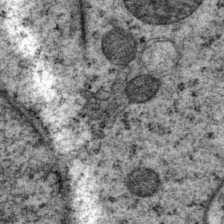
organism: P. pacificus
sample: Pharynx